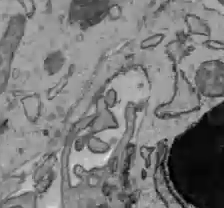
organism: C57BL Mouse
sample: Liver